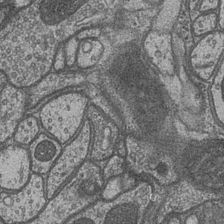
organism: Drosophila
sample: Optic medulla